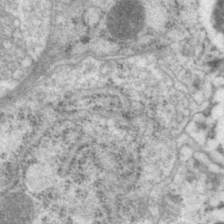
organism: P. pacificus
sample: Pharynx